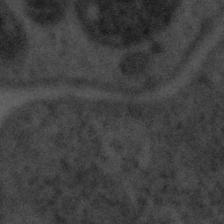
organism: Tuwongella immobilis